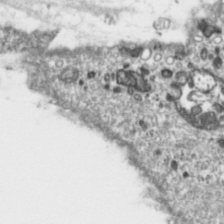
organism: Toxoplasma gondii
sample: Parasites in a vacuole inside a host cell